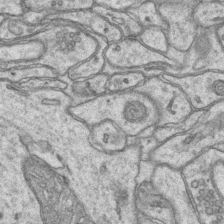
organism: Mouse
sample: CA1 Hippocampus